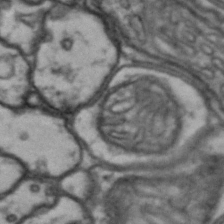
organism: Drosophila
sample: Brain